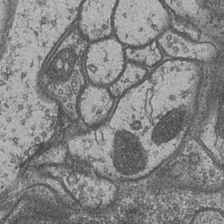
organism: Drosophila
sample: Optic medulla